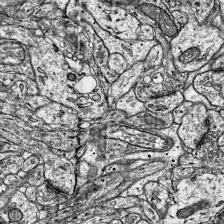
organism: Mouse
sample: Visual Cortex